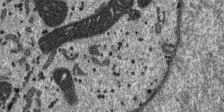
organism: Human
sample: Lung epithelial cells infected with SARS-CoV-2